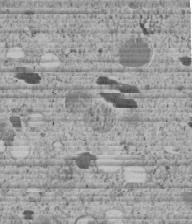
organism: C. elegans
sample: C. elegans embryo early stage